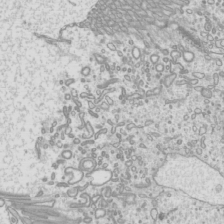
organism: Mouse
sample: Cilia; mouse epididymis